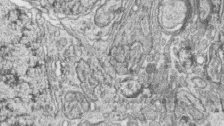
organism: Zebrafish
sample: synaptic ribbons in rod cells and cone cells